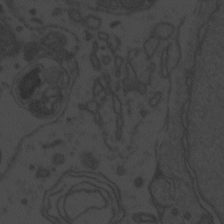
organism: Zebrafish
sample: Macrophage infected with Toxoplasma gondii